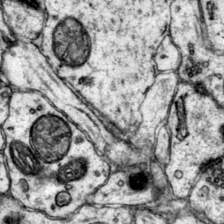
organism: Mouse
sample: Primary visual cortex